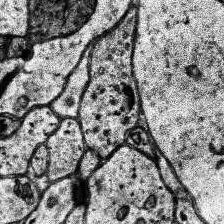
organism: Human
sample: Temporal Lobe